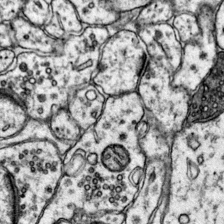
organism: Mouse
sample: Primary visual cortex